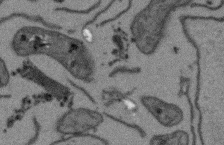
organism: Arabidopsis thaliana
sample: Root tip